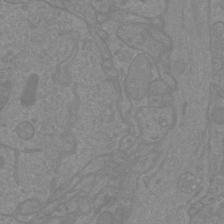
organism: Mouse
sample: Cortical neurons